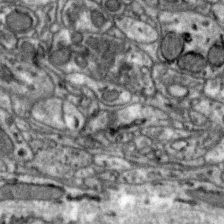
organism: Zebra finch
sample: Brain